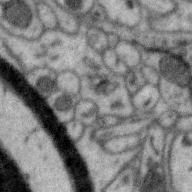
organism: Zebra finch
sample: Brain